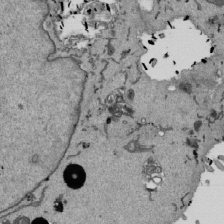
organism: Mouse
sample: ED-1 cell nuclei; centrioles